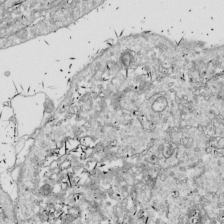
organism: Drosophila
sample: Cell division; meiosis; drosophila spermatocytes